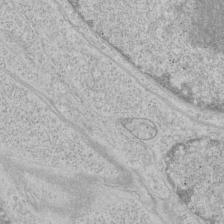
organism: Human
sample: Mitochondria in HCT116 cells